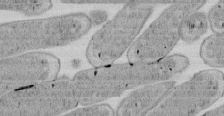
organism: E. coli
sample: Bacterial nucleoid